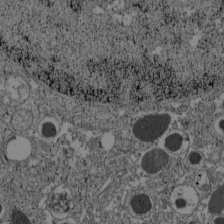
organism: C57BL Mouse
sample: Pancreatic islet